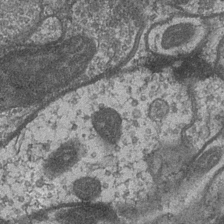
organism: Drosophila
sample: Optic medulla